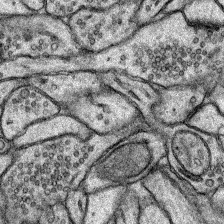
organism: Rat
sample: Hippocampus